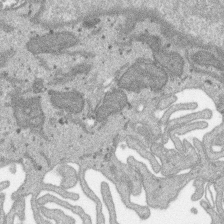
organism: Human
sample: Lung epithelial cells infected with SARS-CoV-2